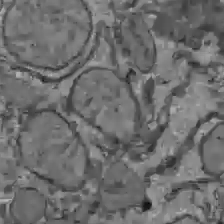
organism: C57BL Mouse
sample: Liver